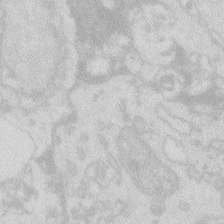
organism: Zebrafish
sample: Macrophage